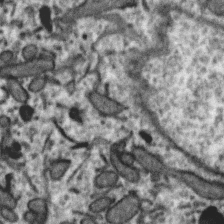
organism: Zebra finch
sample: Brain